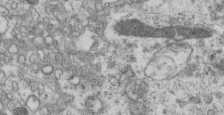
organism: Mouse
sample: Centriole in ependymal cells